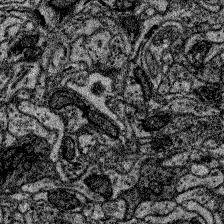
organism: Zebrafish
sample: Larval olfactory bulb